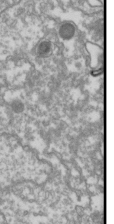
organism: Drosophila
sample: Cell division; meiosis; drosophila spermatocytes